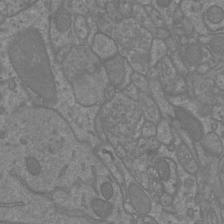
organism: Mouse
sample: Cortical neurons